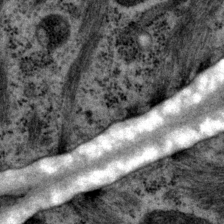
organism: P. pacificus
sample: Pharynx